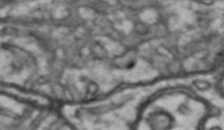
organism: Drosophila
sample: Brain